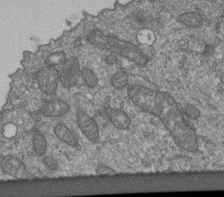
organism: Human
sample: Retinal organoid Rod and Cone cells